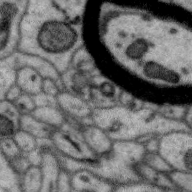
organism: Zebra finch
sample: Brain